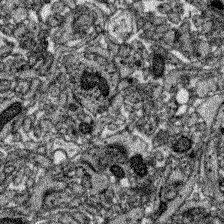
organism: Zebrafish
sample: Larval olfactory bulb